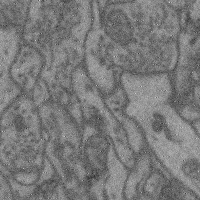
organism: Mouse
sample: Cerebral cortex